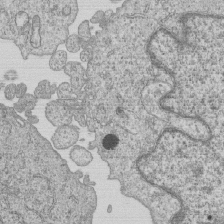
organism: Human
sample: MDA-MB-231 cells